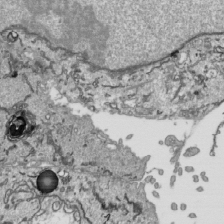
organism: Human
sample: Mitochondria in HCT116 cells